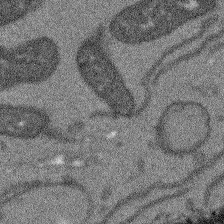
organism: Arabidopsis thaliana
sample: Root tip